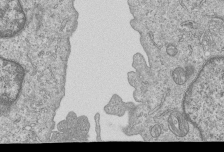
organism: Human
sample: MDA-MB-231 cells